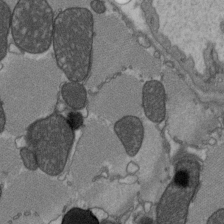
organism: C57BL Mouse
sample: Heart